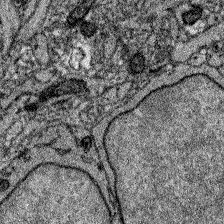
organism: Zebrafish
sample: Larval olfactory bulb